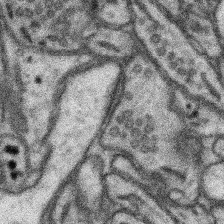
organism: Mouse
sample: Somatosensory cortex neuropil